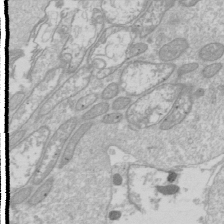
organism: Drosophila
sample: Cell division; meiosis; drosophila spermatocytes